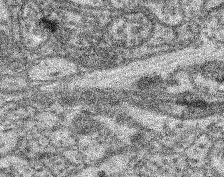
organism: Mouse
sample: Retina